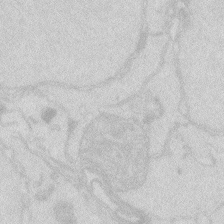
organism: Zebrafish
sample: Macrophage